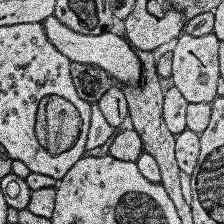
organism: Human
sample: Temporal Lobe